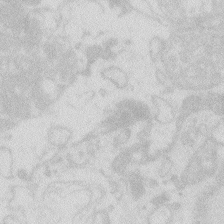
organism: Zebrafish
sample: Macrophage